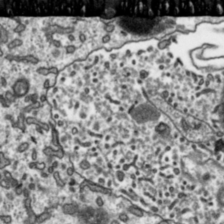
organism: Toxoplasma gondii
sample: Parasites in a vacuole inside a host cell